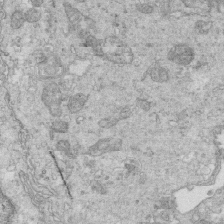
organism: Mouse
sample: Multiciliated cells